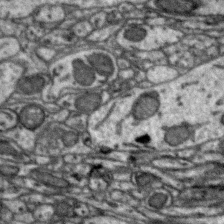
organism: Zebra finch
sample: Brain